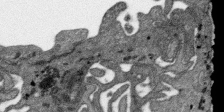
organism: Human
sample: Lung epithelial cells, uninfected (mock) control